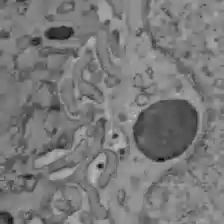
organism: C57BL Mouse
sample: Liver